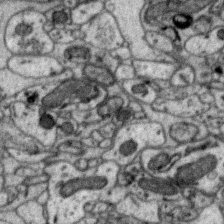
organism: Zebra finch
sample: Brain